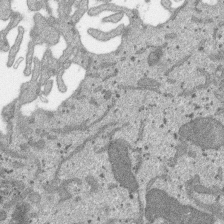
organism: Human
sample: Lung epithelial cells infected with SARS-CoV-2